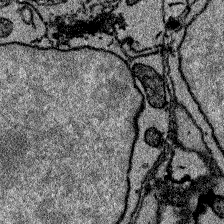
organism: Zebrafish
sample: Larval olfactory bulb